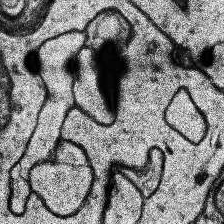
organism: Human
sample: Temporal Lobe